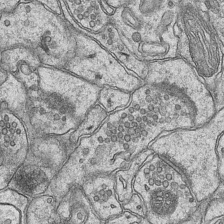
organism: Mouse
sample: CA1 Hippocampus